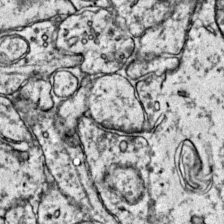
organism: Mouse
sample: Primary visual cortex